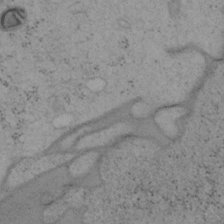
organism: Mouse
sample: OT-I killer T cells with ID8 ovarian cancer cells